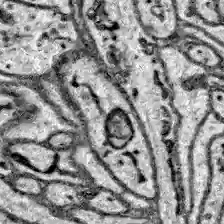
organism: Zebrafish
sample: Brain